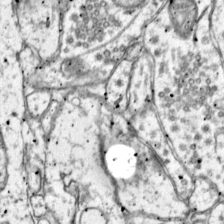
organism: Mouse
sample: Primary visual cortex